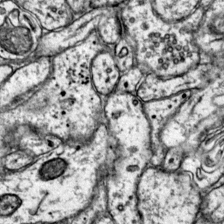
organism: Mouse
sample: Primary visual cortex